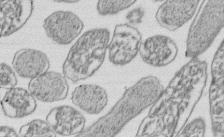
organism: E. coli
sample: Bacterial nucleoid